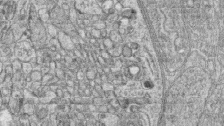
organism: Zebrafish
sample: synaptic ribbons in rod cells and cone cells